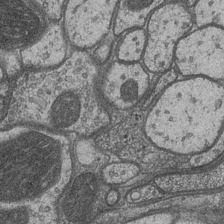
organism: Drosophila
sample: Optic medulla